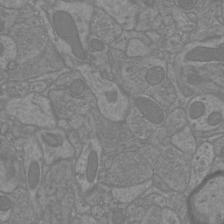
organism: Mouse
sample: Cortical neurons